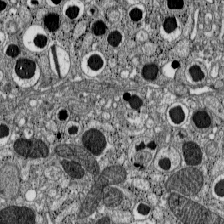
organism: C57BL Mouse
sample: Pancreatic islet